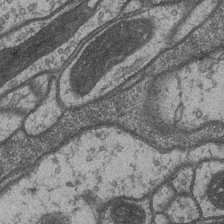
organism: Drosophila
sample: Optic medulla